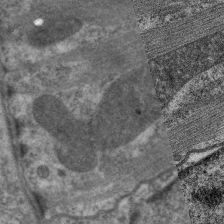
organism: C. elegans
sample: Pharynx